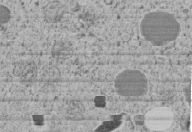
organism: C. elegans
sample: C. elegans embryo early stage